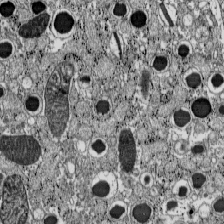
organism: C57BL Mouse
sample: Pancreatic islet